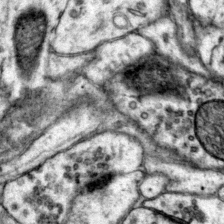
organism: Mouse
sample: Primary visual cortex